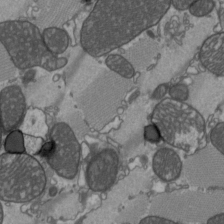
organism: C57BL Mouse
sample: Heart